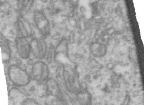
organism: Human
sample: Centriole in RPE cells